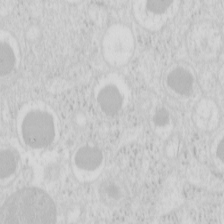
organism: Mouse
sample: Pancreas